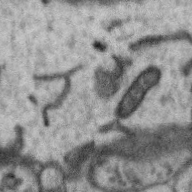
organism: Zebra finch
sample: Brain